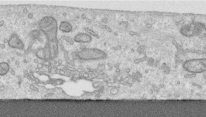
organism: Human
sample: Centriole in RPE cells